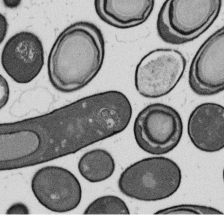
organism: B. subtilis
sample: Bacterial spore